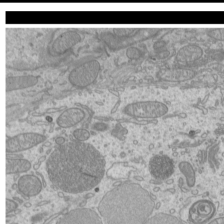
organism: Mouse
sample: Cilia; mouse epididymis